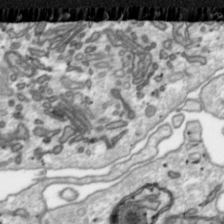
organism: Toxoplasma gondii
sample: Parasites in a vacuole inside a host cell